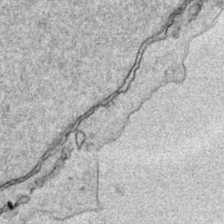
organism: Human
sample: Mitochondria in HCT116 cells